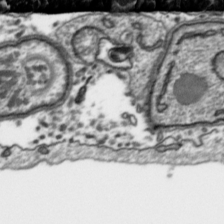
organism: Toxoplasma gondii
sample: Parasites in a vacuole inside a host cell